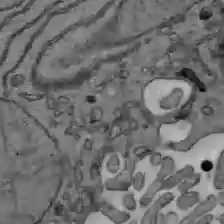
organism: C57BL Mouse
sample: Liver